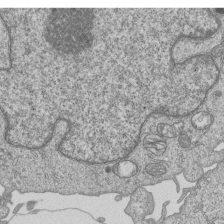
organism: Human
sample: MDA-MB-231 cells